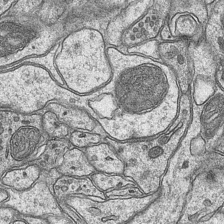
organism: Mouse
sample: CA1 Hippocampus